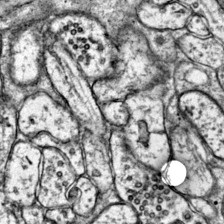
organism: Mouse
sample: Primary visual cortex